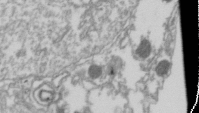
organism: Drosophila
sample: Cell division; meiosis; drosophila spermatocytes